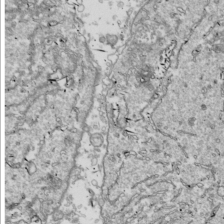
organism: Drosophila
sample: Cell division; meiosis; drosophila spermatocytes